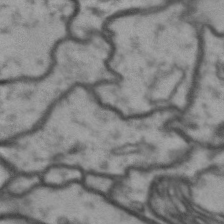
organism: Drosophila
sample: Brain